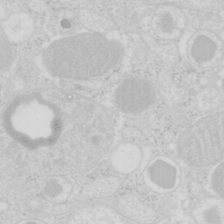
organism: Mouse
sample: Pancreas